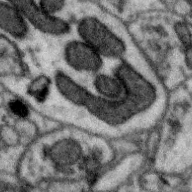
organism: Zebra finch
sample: Brain